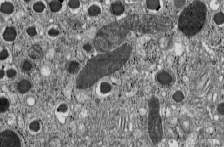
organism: C57BL Mouse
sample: Pancreatic islet